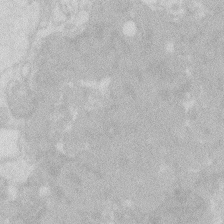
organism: Zebrafish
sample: Macrophage